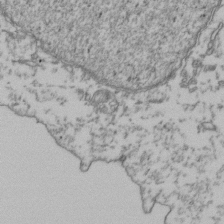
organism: Human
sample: Activated Jurkat CD4+ T cells